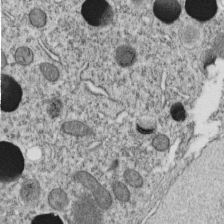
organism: C. elegans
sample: C. elegans embryo early stage